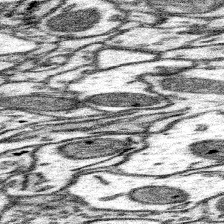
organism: Mouse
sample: Somatosensory cortex neuropil